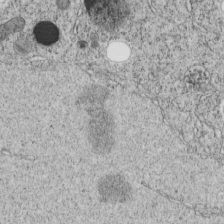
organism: C. elegans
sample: C. elegans embryo early stage